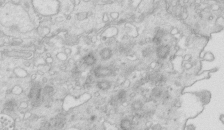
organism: Mouse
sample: Multiciliated cells